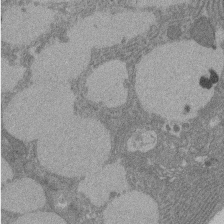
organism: Rat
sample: Salivary granule